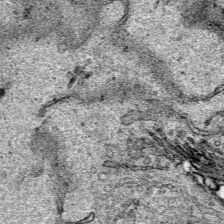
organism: Human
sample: Mitochondria in HCT116 cells